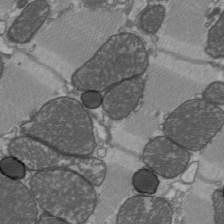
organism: C57BL Mouse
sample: Heart